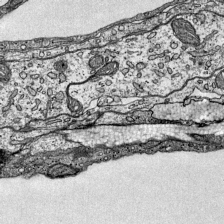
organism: Mouse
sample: Visual Cortex